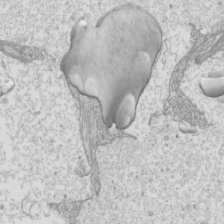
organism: Mouse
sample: Cilia; mouse epididymis